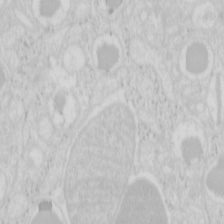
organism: Mouse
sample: Pancreas